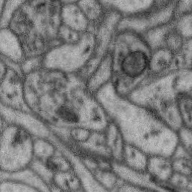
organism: Zebra finch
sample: Brain